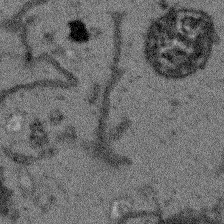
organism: Arabidopsis thaliana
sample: Root tip